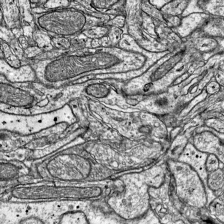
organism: Mouse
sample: Visual Cortex